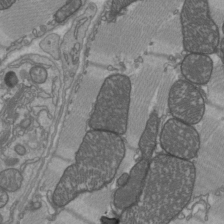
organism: C57BL Mouse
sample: Heart